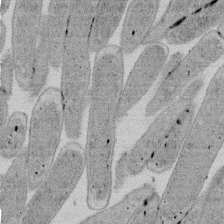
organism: E. coli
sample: Bacterial nucleoid